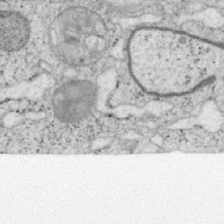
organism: Mouse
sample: OT-I killer T cells with ID8 ovarian cancer cells